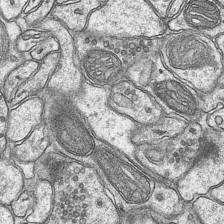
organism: Mouse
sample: CA1 Hippocampus